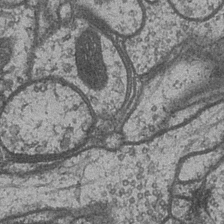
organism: Drosophila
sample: Optic medulla